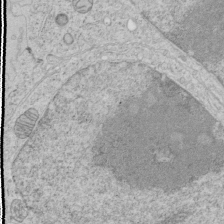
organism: Human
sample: Mitochondria in HCT116 cells